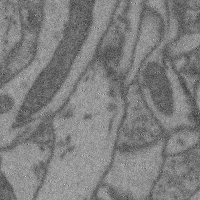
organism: Mouse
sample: Cerebral cortex